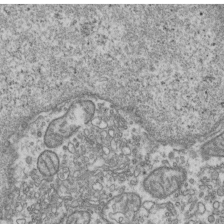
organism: Human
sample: Activated Jurkat CD4+ T cells